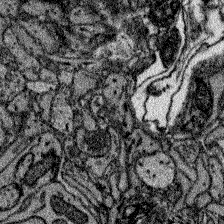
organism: Zebrafish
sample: Larval olfactory bulb